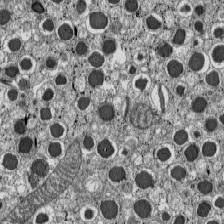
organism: C57BL Mouse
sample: Pancreatic islet